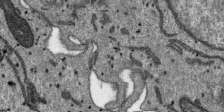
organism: Human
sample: Lung epithelial cells, uninfected (mock) control